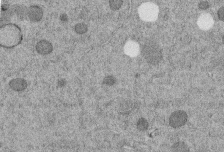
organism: C. elegans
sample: C. elegans embryo early stage